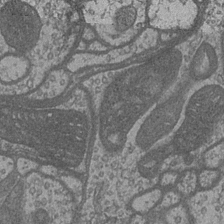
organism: Drosophila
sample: Optic medulla